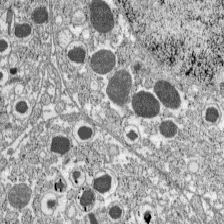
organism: C57BL Mouse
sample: Pancreatic islet